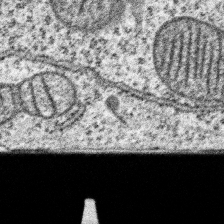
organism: Human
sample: HeLa cells